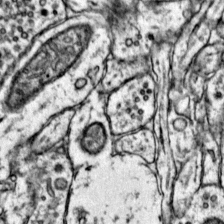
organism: Mouse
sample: Primary visual cortex